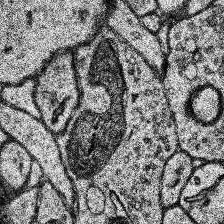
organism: Human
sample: Temporal Lobe